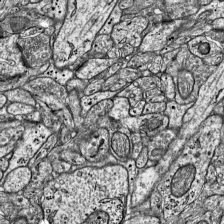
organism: Mouse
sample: Visual Cortex